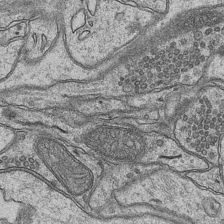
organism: Mouse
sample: CA1 Hippocampus